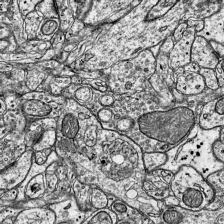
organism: Mouse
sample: Visual Cortex